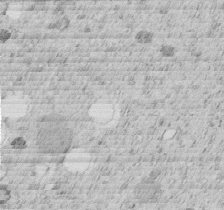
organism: C. elegans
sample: C. elegans embryo early stage